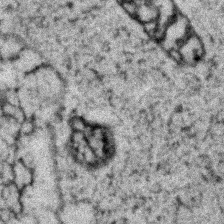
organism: Zebrafish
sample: Zebrafish embryo